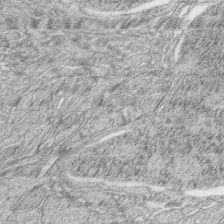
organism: Zebrafish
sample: synaptic ribbons in rod cells and cone cells